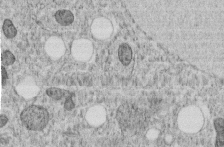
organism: C. elegans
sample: C. elegans embryo early stage